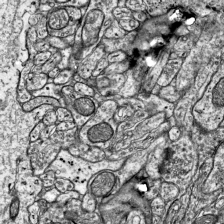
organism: Mouse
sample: Visual Cortex